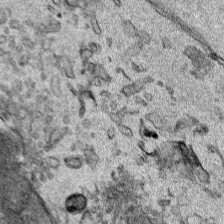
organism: Human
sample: Mitochondria in HCT116 cells